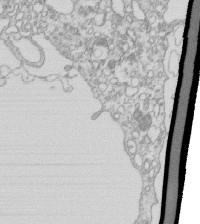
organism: Mouse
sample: Macrophages